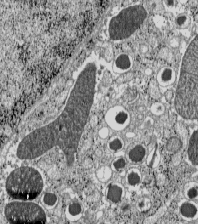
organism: C57BL Mouse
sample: Pancreatic islet